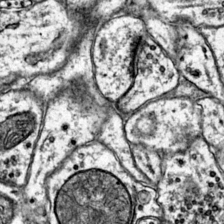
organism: Mouse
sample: Primary visual cortex